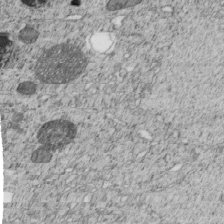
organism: C. elegans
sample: C. elegans embryo early stage